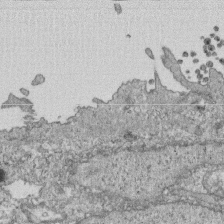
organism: Human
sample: HeLa cell HIV synapse